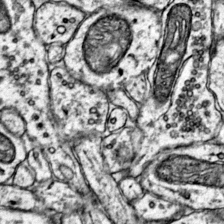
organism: Mouse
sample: Primary visual cortex